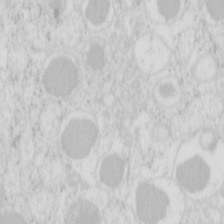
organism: Mouse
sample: Pancreas